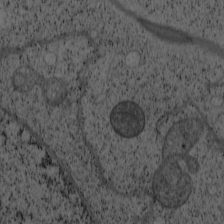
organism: African green monkey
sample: COS-7 cells